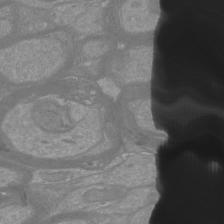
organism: Mouse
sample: Cortical neurons